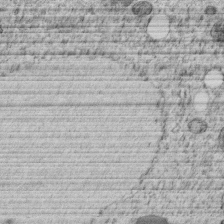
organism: C. elegans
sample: C. elegans embryo early stage